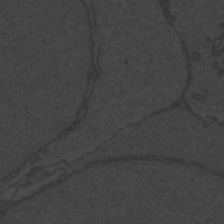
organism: Zebrafish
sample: Macrophage infected with Toxoplasma gondii